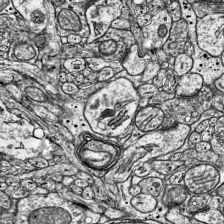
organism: Mouse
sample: Visual Cortex